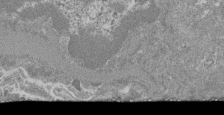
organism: Mouse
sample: Glomerulus